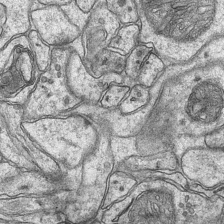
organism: Mouse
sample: CA1 Hippocampus